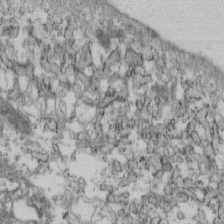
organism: Mouse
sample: Cilia; retinal pigment epithelium